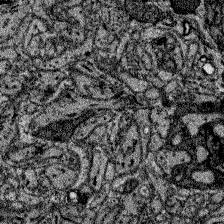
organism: Zebrafish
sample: Larval olfactory bulb